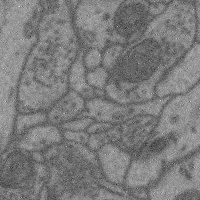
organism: Mouse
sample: Cerebral cortex